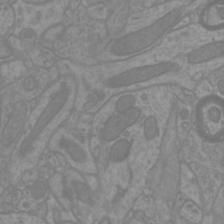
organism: Mouse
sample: Cortical neurons